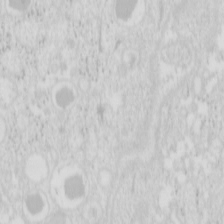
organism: Mouse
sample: Pancreas